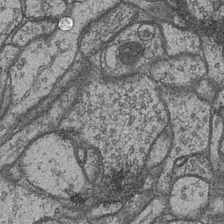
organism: Drosophila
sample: Optic medulla